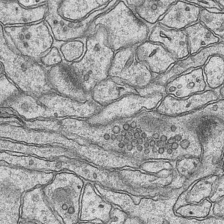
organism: Mouse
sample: CA1 Hippocampus